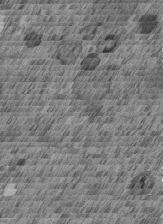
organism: C. elegans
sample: C. elegans embryo early stage